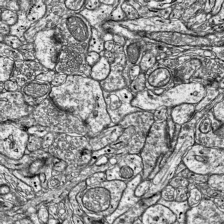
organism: Mouse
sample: Visual Cortex